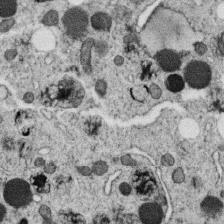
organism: C. elegans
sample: C. elegans oocyte; sperm cells